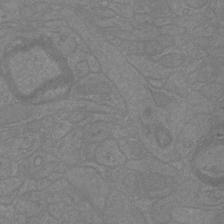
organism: Mouse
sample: Cortical neurons